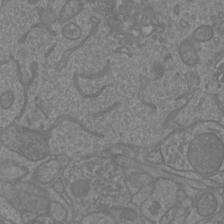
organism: Mouse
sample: Cortical neurons